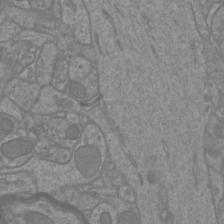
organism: Mouse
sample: Cortical neurons